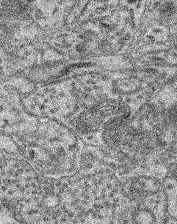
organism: Mouse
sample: Retina